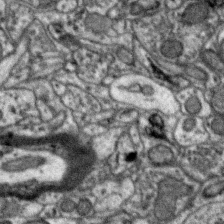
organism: Zebra finch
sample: Brain